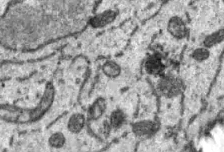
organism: Human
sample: HeLa cells